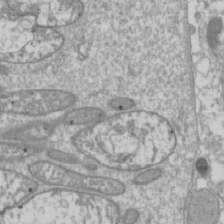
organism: Drosophila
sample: Cell division; meiosis; drosophila spermatocytes